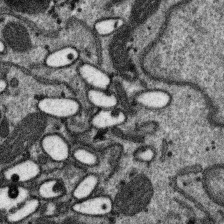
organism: Human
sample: Lung epithelial cells infected with SARS-CoV-2